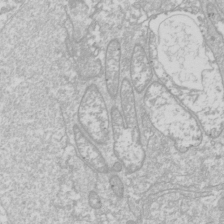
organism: Drosophila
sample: Cell division; meiosis; drosophila spermatocytes